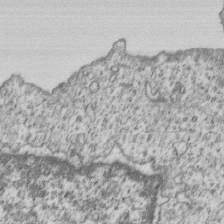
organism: Human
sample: MDA-MB-231 cells